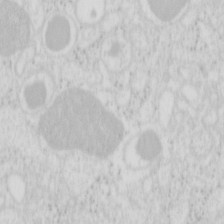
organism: Mouse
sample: Pancreas